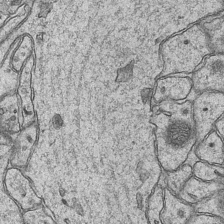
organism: Mouse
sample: CA1 Hippocampus